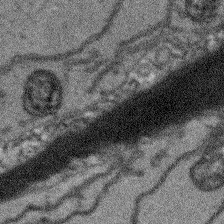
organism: Arabidopsis thaliana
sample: Root tip